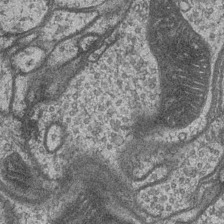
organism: Drosophila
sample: Optic medulla